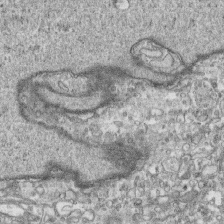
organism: Human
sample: CRL-1474